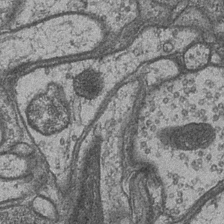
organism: Drosophila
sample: Optic medulla